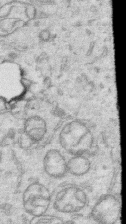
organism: Human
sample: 1205lu cells